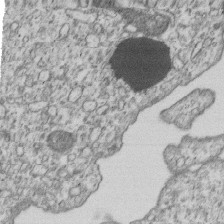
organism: Human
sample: MDA-MB-231 cells